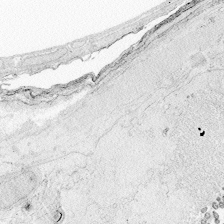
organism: Zebrafish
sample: Whole-Brain